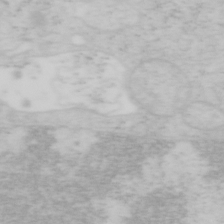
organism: Mouse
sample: OT-I killer T cells with ID8 ovarian cancer cells